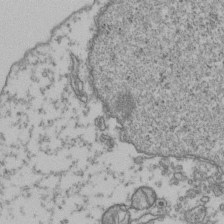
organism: Human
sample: Activated Jurkat CD4+ T cells